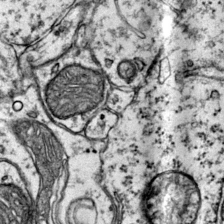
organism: Mouse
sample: Primary visual cortex